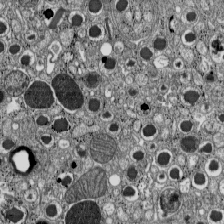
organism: C57BL Mouse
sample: Pancreatic islet